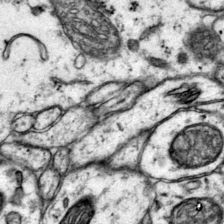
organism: Mouse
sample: Primary visual cortex